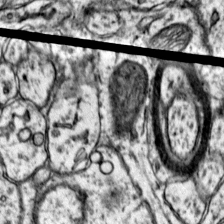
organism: Mouse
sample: Primary visual cortex